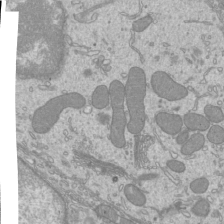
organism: Mouse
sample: Cilia; mouse epididymis